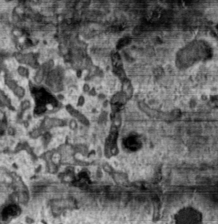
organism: Toxoplasma gondii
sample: Parasites in a vacuole inside a host cell